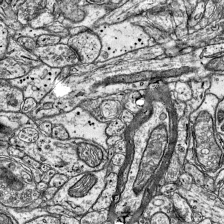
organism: Mouse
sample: Visual Cortex